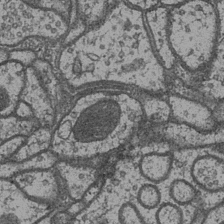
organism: Drosophila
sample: Optic medulla